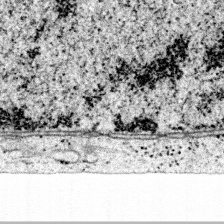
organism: Human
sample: HeLa cells